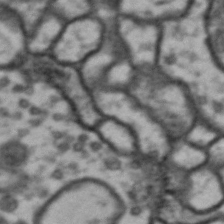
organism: Drosophila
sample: Brain